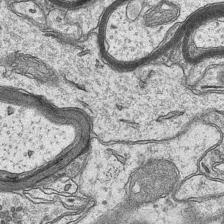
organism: Mouse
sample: CA1 Hippocampus